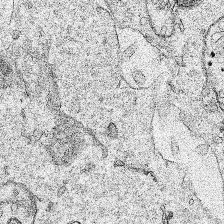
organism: Human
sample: Mitochondria in HCT116 cells